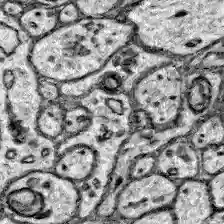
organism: Zebrafish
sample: Brain